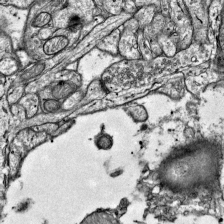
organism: Mouse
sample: Visual Cortex